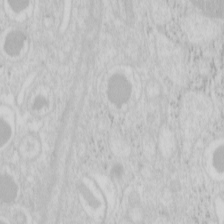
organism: Mouse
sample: Pancreas